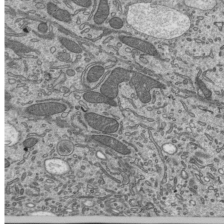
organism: Mouse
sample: Mouse epididymis efferent ductule cilia